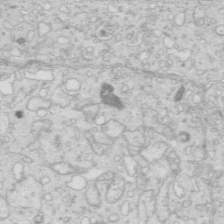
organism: Mouse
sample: Multiciliated cells